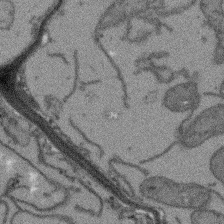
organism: Arabidopsis thaliana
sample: Root tip